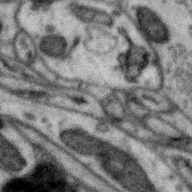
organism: Zebra finch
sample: Brain